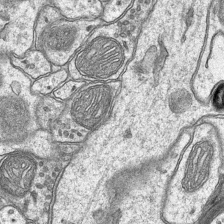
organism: Mouse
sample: CA1 Hippocampus